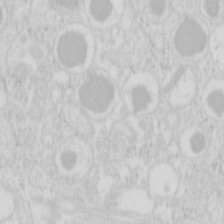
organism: Mouse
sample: Pancreas